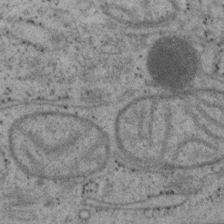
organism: Human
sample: HeLa cells